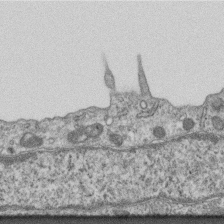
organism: Mouse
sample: Centriole in ependymal cells